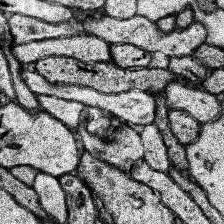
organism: Human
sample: Temporal Lobe